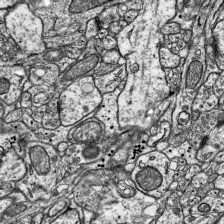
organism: Mouse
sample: Visual Cortex